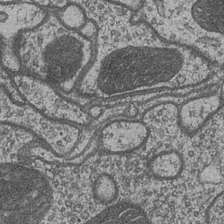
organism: Drosophila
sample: Optic medulla